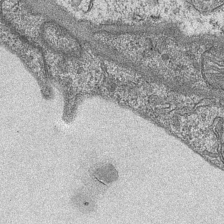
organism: Mouse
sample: CA1 Hippocampus